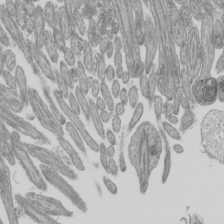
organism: Mouse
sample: Cilia; mouse epididymis